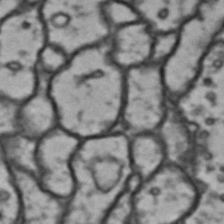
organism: Drosophila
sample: Brain